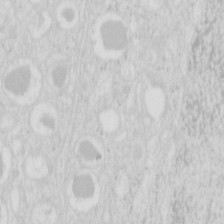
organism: Mouse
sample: Pancreas